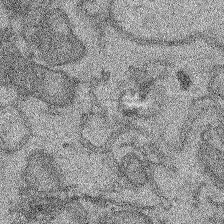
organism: Human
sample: HeLa cells